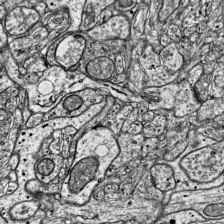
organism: Mouse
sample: Visual Cortex